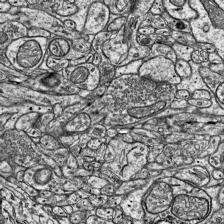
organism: Mouse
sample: Visual Cortex